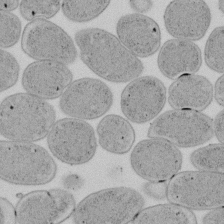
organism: E. coli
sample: Bacterial nucleoid